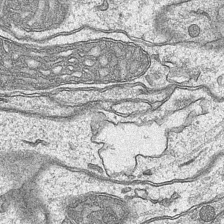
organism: Mouse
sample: CA1 Hippocampus